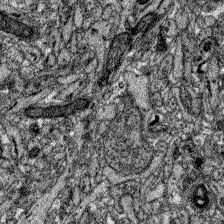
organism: Zebrafish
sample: Larval olfactory bulb